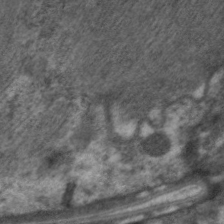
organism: C. elegans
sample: Pharynx